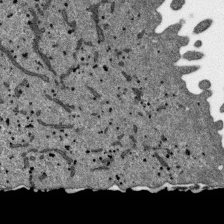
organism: Human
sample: Lung epithelial cells, uninfected (mock) control